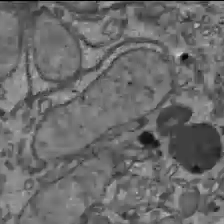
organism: C57BL Mouse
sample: Liver